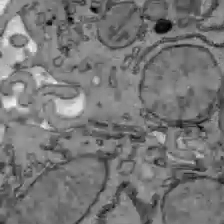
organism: C57BL Mouse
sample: Liver